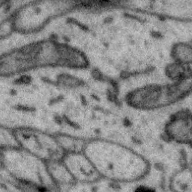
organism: Zebra finch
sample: Brain